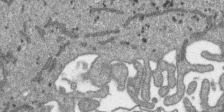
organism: Human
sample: Lung epithelial cells infected with SARS-CoV-2